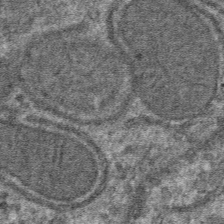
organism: Mouse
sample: Mouse hepatocytes